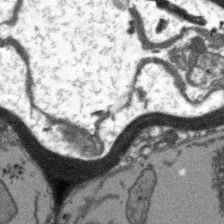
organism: Arabidopsis thaliana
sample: Root tip